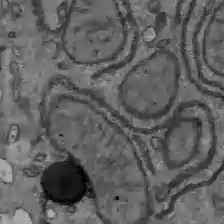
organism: C57BL Mouse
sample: Liver